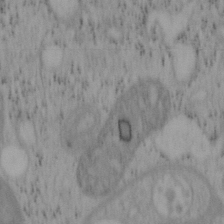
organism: Mouse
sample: OT-I killer T cells with ID8 ovarian cancer cells